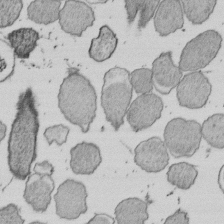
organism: E. coli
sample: Bacterial nucleoid